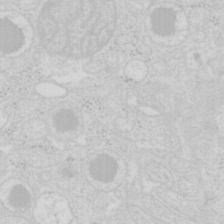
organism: Mouse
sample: Pancreas